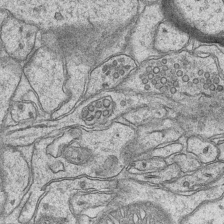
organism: Mouse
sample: CA1 Hippocampus